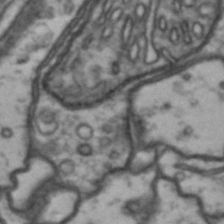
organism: Drosophila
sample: Brain